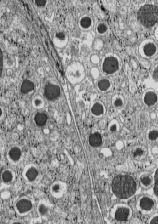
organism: C57BL Mouse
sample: Pancreatic islet